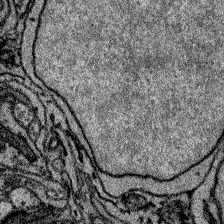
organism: Zebrafish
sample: Larval olfactory bulb